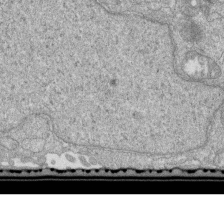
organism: Human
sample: HeLa cell HIV synapse